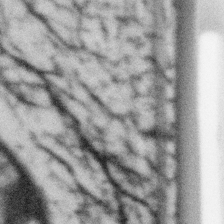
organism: Gemmata obscuriglobus